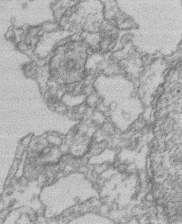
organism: Mouse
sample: T cell stromal cell synapse